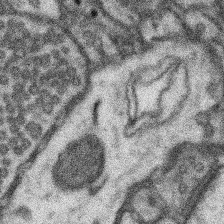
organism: Mouse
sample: Somatosensory cortex neuropil